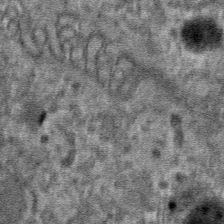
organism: Mouse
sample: Mouse hepatocytes